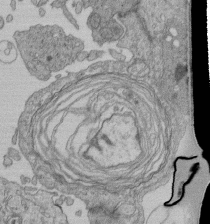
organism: Human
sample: Retinal organoid Rod and Cone cells